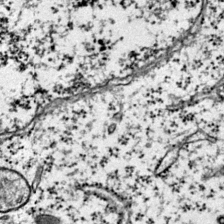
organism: Mouse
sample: Primary visual cortex